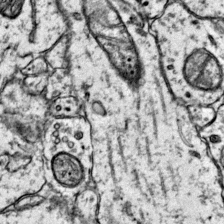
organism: Mouse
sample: Primary visual cortex